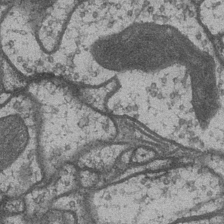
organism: Drosophila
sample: Optic medulla